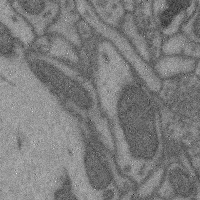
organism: Mouse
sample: Cerebral cortex